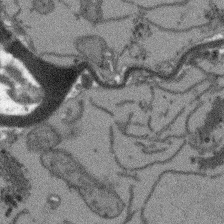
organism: Arabidopsis thaliana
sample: Root tip